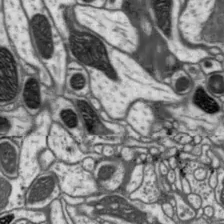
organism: Drosophila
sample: Protocerebral bridge